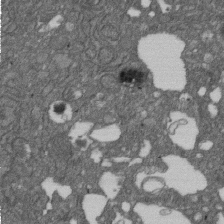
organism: Drosophila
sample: Nephrocyte